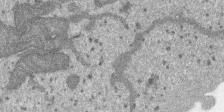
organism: Human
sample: Lung epithelial cells infected with SARS-CoV-2